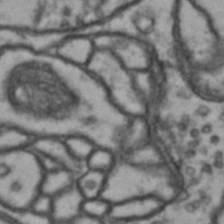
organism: Drosophila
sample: Brain